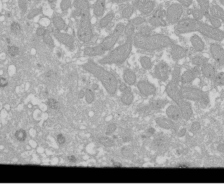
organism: Xenopus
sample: Cilia; centrioles in frog embryo cells